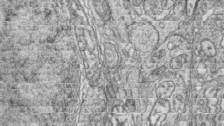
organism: Zebrafish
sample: synaptic ribbons in rod cells and cone cells